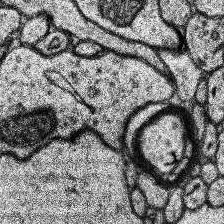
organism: Human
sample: Temporal Lobe